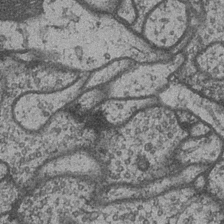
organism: Drosophila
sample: Optic medulla